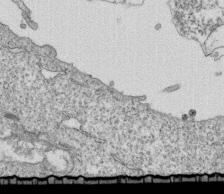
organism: Human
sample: HeLa cell HIV synapse